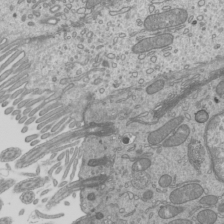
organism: Mouse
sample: Cilia; mouse epididymis